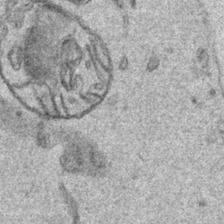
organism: Human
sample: Mitochondria in HCT116 cells